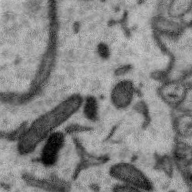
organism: Zebra finch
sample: Brain